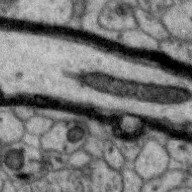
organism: Zebra finch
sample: Brain